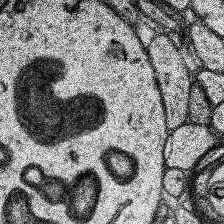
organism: Human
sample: Temporal Lobe